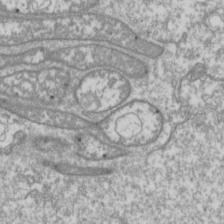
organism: Drosophila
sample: Cell division; meiosis; drosophila spermatocytes